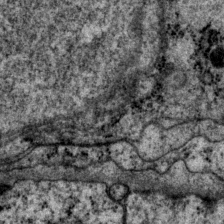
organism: P. pacificus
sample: Pharynx